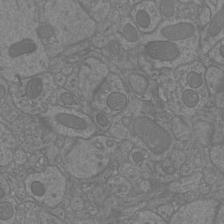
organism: Mouse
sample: Cortical neurons